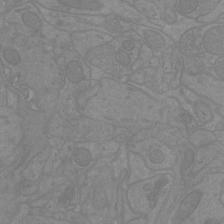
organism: Mouse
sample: Cortical neurons